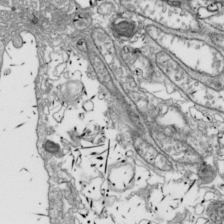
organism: Drosophila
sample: Cell division; meiosis; drosophila spermatocytes